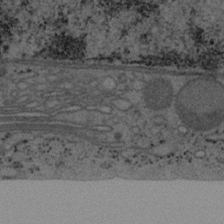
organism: Human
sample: HeLa cells